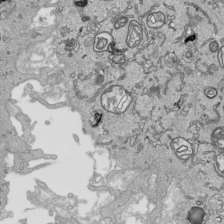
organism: Human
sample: Mitochondria in HCT116 cells